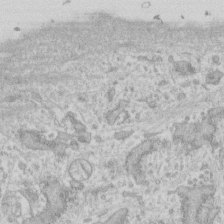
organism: Human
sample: Fibroblast cells